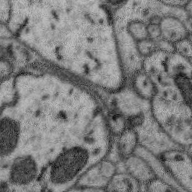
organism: Zebra finch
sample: Brain